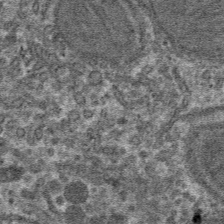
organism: Mouse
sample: Mouse hepatocytes